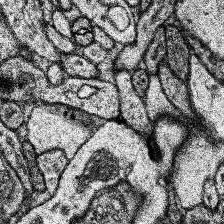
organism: Human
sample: Temporal Lobe